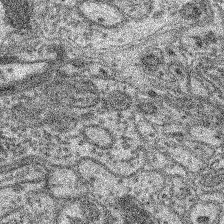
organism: Mouse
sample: Retina